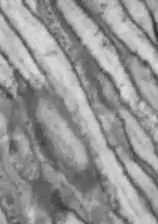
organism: Drosophila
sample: Optic lobe